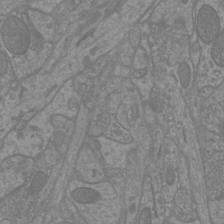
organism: Mouse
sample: Cortical neurons